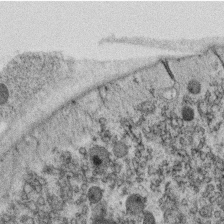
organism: C. elegans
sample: C. elegans oocyte; sperm cells